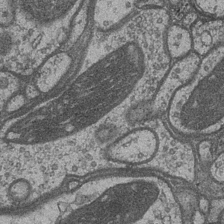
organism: Drosophila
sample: Optic medulla